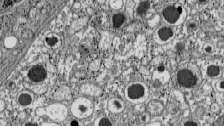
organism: C57BL Mouse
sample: Pancreatic islet